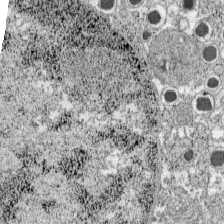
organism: C57BL Mouse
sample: Pancreatic islet